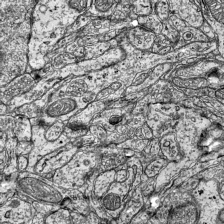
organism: Mouse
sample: Visual Cortex